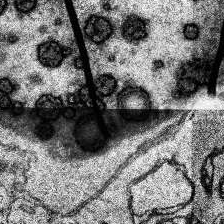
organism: Human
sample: Temporal Lobe